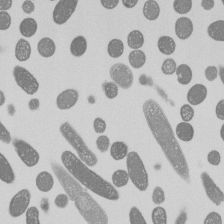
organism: E. coli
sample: Bacterial nucleoid